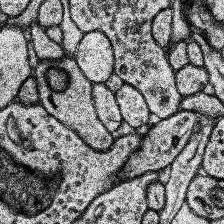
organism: Human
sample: Temporal Lobe